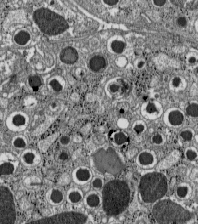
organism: C57BL Mouse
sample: Pancreatic islet